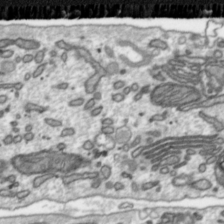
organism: Toxoplasma gondii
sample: Parasites in a vacuole inside a host cell